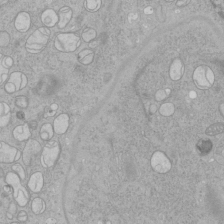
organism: Human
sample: Mitochondria in HCT116 cells